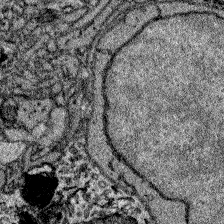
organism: Zebrafish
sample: Larval olfactory bulb